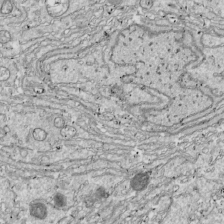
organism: Drosophila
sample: Cell division; meiosis; drosophila spermatocytes